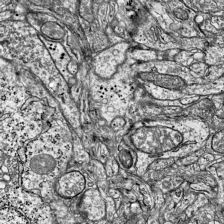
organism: Mouse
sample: Visual Cortex